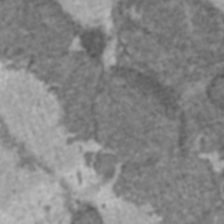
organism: C57BL Mouse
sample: Heart